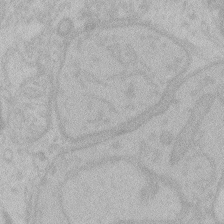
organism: Zebrafish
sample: Macrophage infected with Toxoplasma gondii